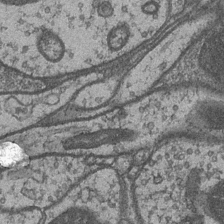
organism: Drosophila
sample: Optic medulla